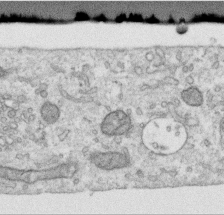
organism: Human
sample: Centriole in RPE cells